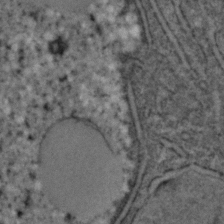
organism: C. elegans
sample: C. elegans embryo